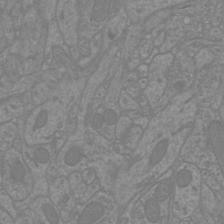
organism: Mouse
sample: Cortical neurons